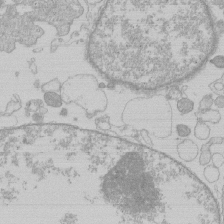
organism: Human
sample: Macrophage cells